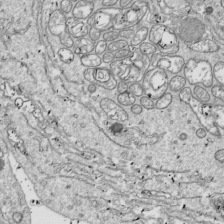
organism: Drosophila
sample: Cell division; meiosis; drosophila spermatocytes